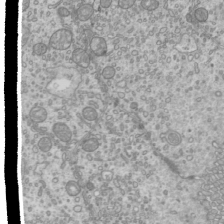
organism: Mouse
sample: Cilia; mouse epididymis